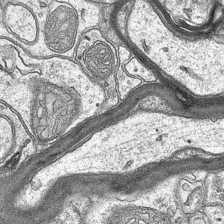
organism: Mouse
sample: CA1 Hippocampus